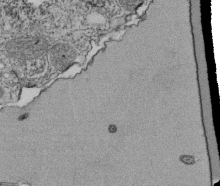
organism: Tetrahymena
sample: Cilia in tetrahymena